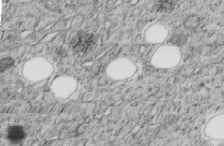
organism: C. elegans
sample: C. elegans embryo early stage